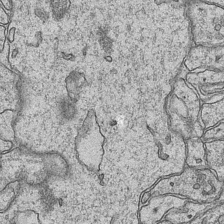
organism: Mouse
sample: CA1 Hippocampus